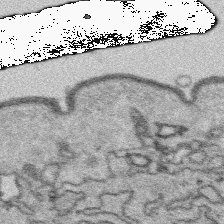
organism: Platynereis dumerilii